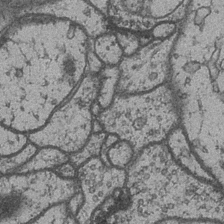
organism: Drosophila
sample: Optic medulla